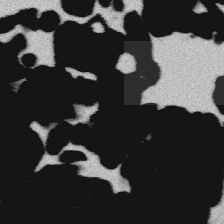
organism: Platynereis dumerilii